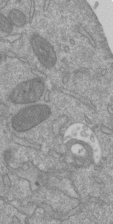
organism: Mouse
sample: ED-1 cell nuclei; centrioles